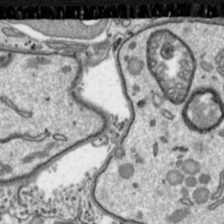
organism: Toxoplasma gondii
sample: Parasites in a vacuole inside a host cell